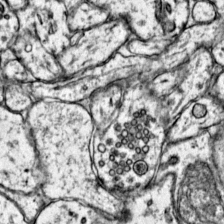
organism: Mouse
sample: Primary visual cortex